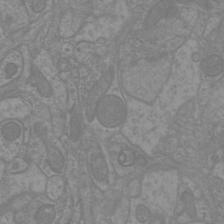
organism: Mouse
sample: Cortical neurons